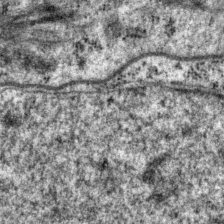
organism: P. pacificus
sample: Pharynx